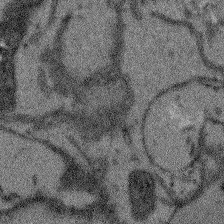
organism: Arabidopsis thaliana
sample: Root tip